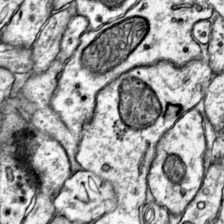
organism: Mouse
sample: Primary visual cortex